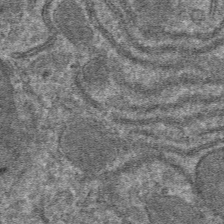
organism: Mouse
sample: Mouse hepatocytes